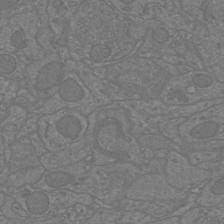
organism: Mouse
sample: Cortical neurons